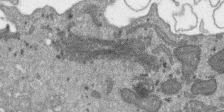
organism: Human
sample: Lung epithelial cells infected with SARS-CoV-2